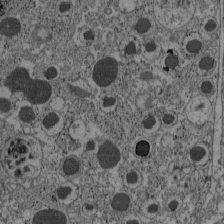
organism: C57BL Mouse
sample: Pancreatic islet